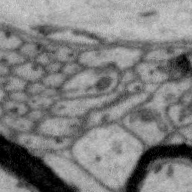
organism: Zebra finch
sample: Brain